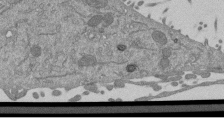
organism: Mouse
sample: ED-1 cell nuclei; centrioles